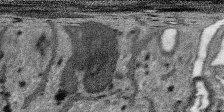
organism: Human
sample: Lung epithelial cells infected with SARS-CoV-2